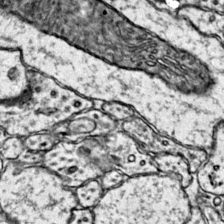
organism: Mouse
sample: Primary visual cortex